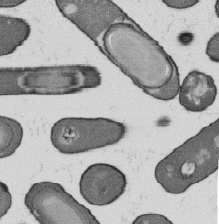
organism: B. subtilis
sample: Bacterial spore